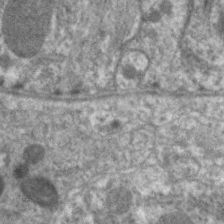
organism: C. elegans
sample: Pharynx